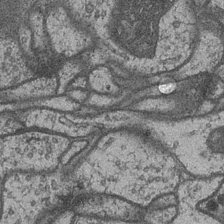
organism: Drosophila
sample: Optic medulla